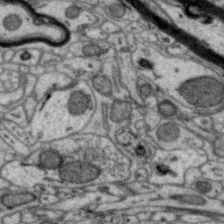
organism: Zebra finch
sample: Brain